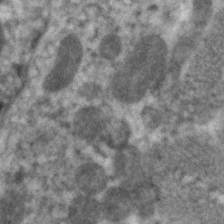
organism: C. elegans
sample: Pharynx